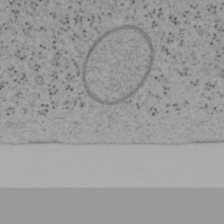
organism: Human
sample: HeLa cells